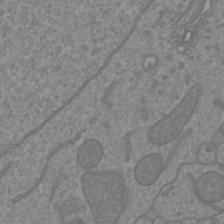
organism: Mouse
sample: Cortical neurons